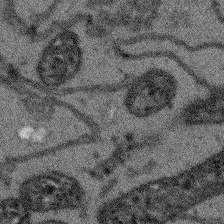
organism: Arabidopsis thaliana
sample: Root tip